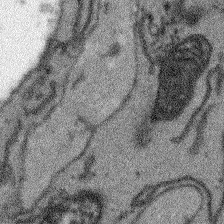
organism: Arabidopsis thaliana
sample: Root tip